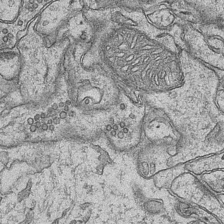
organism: Mouse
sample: CA1 Hippocampus